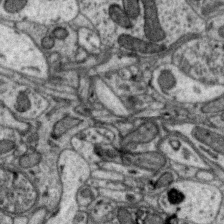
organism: Zebra finch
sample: Brain